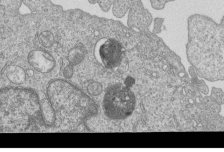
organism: Human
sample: MDA-MB-231 cells